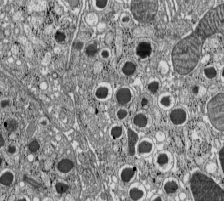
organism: C57BL Mouse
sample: Pancreatic islet